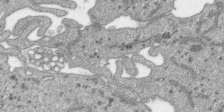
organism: Human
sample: Lung epithelial cells infected with SARS-CoV-2